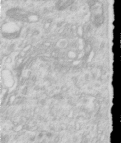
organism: Human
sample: Centriole in RPE cells